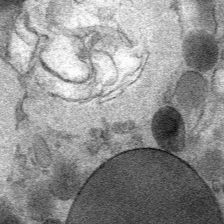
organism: Mouse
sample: Mouse Salivary gland